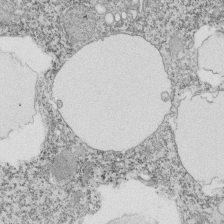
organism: Tetrahymena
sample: Cilia in tetrahymena